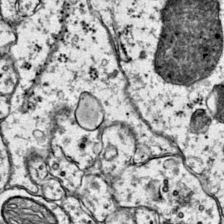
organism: Mouse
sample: Primary visual cortex